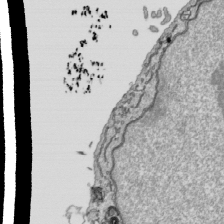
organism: Human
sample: Mitochondria in HCT116 cells